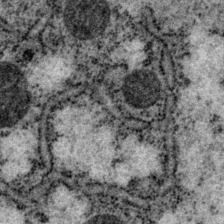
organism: P. pacificus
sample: Pharynx